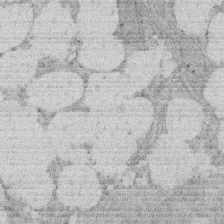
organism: Rat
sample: Salivary granule